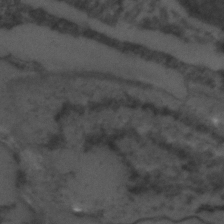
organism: C. elegans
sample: C. elegans embryo